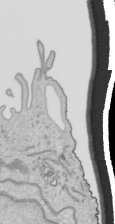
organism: Human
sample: Mitochondria in HCT116 cells